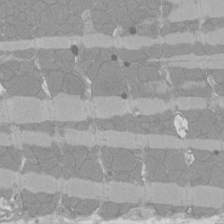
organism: Rat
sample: Left ventricle